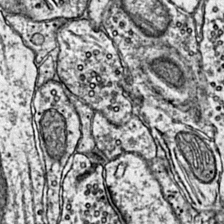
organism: Mouse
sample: Primary visual cortex